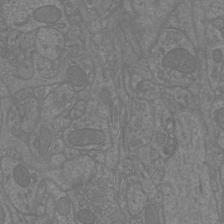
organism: Mouse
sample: Cortical neurons